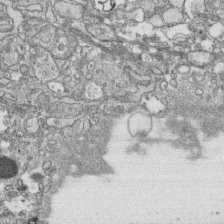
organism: Human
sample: CRL-1474